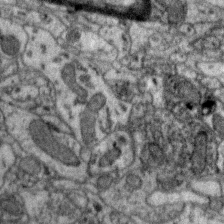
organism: Zebra finch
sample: Brain